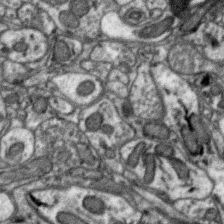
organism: Zebra finch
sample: Brain